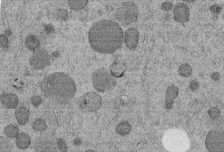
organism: C. elegans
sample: C. elegans embryo early stage